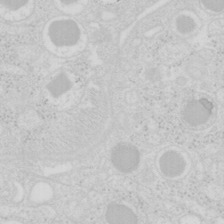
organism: Mouse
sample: Pancreas